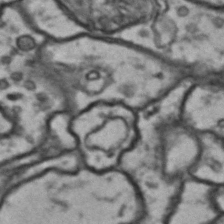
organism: Drosophila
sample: Brain